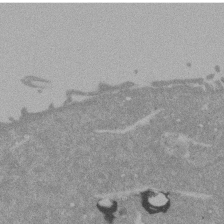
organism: Mouse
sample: ED-1 cell nuclei; centrioles